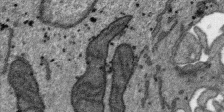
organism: Human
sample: Lung epithelial cells, uninfected (mock) control